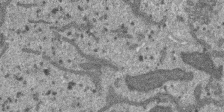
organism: Human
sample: Lung epithelial cells infected with SARS-CoV-2